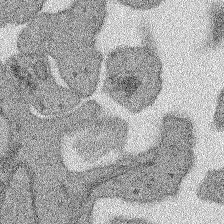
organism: Human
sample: HeLa cells